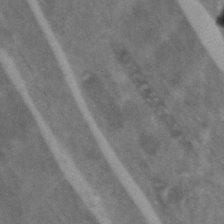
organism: Zebrafish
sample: Zebrafish embryo